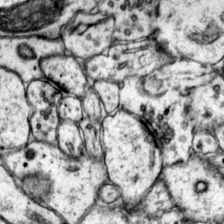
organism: Mouse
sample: Primary visual cortex